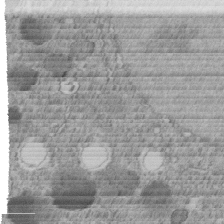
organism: C. elegans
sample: C. elegans embryo early stage